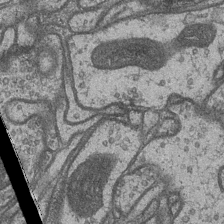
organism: Drosophila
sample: Optic medulla